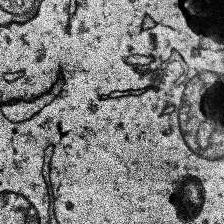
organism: Human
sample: Temporal Lobe